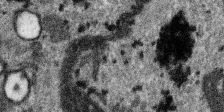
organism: Human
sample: Lung epithelial cells infected with SARS-CoV-2